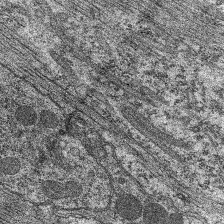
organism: C. elegans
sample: Pharynx